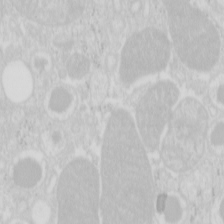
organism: Mouse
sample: Pancreas